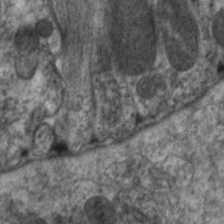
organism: C. elegans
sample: Pharynx